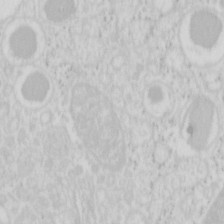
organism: Mouse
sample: Pancreas